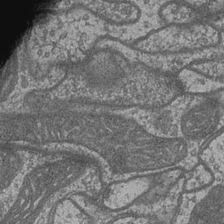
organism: Drosophila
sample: Optic medulla